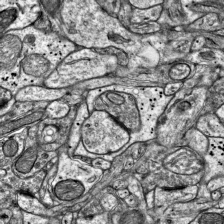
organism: Mouse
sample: Visual Cortex